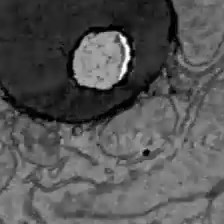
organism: C57BL Mouse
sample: Liver